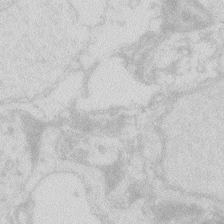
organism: Zebrafish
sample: Macrophage